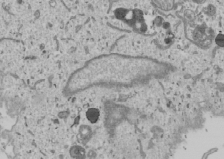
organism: Human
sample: Mitochondria in U2OS cells